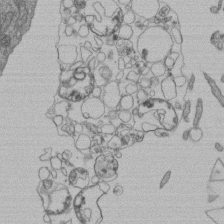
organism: Human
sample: Retinal organoid Rod and Cone cells